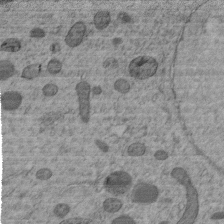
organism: C. elegans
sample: C. elegans embryo early stage